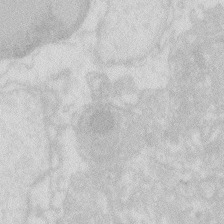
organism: Zebrafish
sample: Macrophage